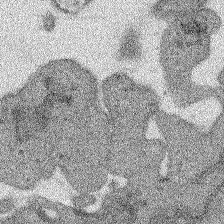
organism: Human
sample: HeLa cells